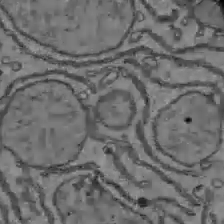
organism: C57BL Mouse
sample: Liver